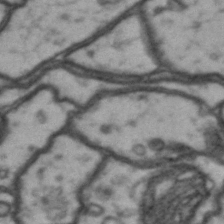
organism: Drosophila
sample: Brain